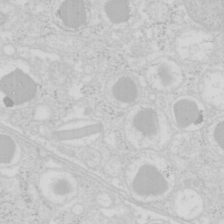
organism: Mouse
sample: Pancreas